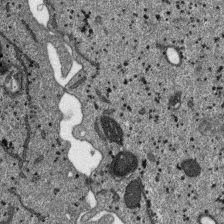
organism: Human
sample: Lung epithelial cells infected with SARS-CoV-2